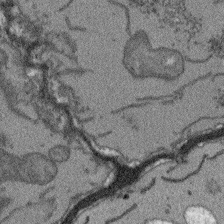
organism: Arabidopsis thaliana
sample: Root tip